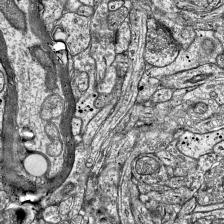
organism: Mouse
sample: Visual Cortex